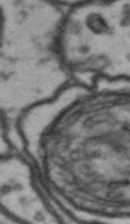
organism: Drosophila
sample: Brain